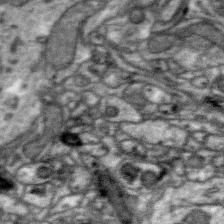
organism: Zebra finch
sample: Brain